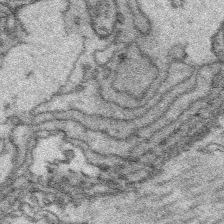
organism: Platynereis dumerilii